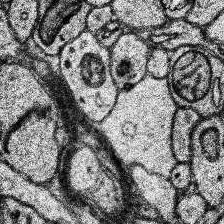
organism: Human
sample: Temporal Lobe